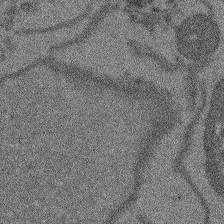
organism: Arabidopsis thaliana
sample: Root tip